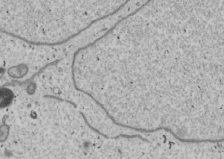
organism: Human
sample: Mitochondria in U2OS cells